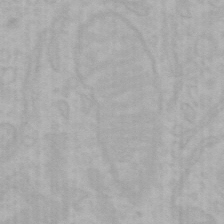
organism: Mouse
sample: Choroid plexus